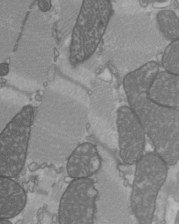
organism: C57BL Mouse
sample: Heart